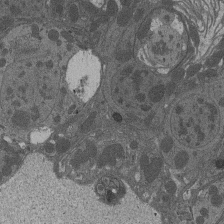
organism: Drosophila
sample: Antenna